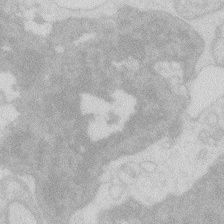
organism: Zebrafish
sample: Macrophage